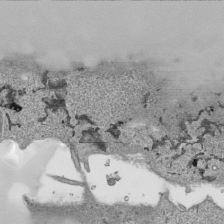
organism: Human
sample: Mitochondria in HCT116 cells